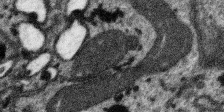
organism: Human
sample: Lung epithelial cells infected with SARS-CoV-2